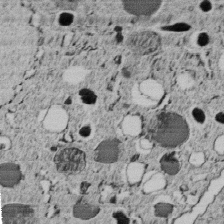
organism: C. elegans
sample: C. elegans embryo early stage